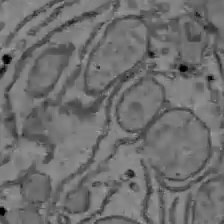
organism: C57BL Mouse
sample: Liver